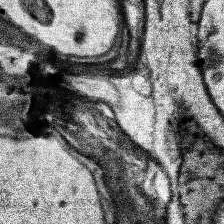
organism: Human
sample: Temporal Lobe